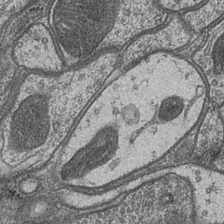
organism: Drosophila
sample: Optic medulla